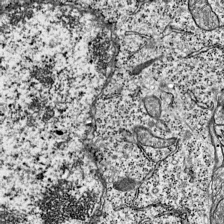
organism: Mouse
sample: Visual Cortex